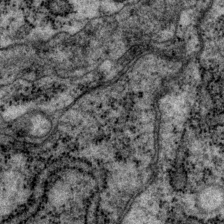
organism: P. pacificus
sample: Pharynx